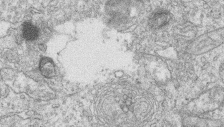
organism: Human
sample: HeLa cell HIV synapse